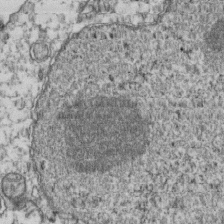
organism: Human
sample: Activated Jurkat CD4+ T cells